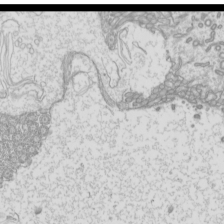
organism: Mouse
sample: Cilia; mouse epididymis